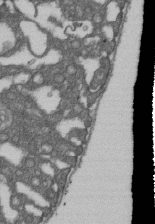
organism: Drosophila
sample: Nephrocyte